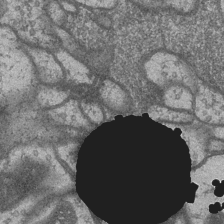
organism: Drosophila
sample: Optic medulla